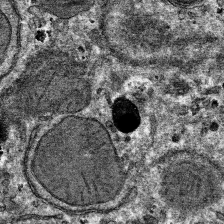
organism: Mouse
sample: Mouse hepatocytes